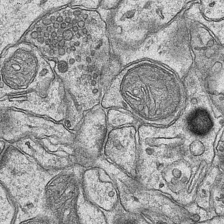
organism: Mouse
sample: CA1 Hippocampus